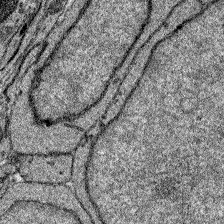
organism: Zebrafish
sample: Larval olfactory bulb